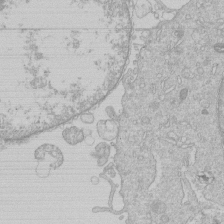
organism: Human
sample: Macrophage cells